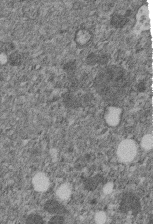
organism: C. elegans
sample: C. elegans embryo early stage